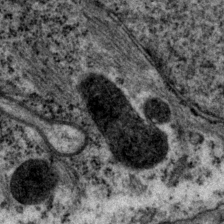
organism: P. pacificus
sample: Pharynx